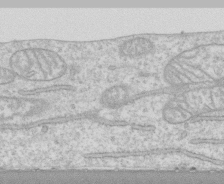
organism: Human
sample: CRL-1474